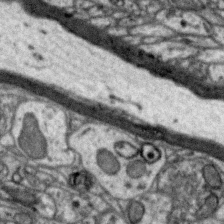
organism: Zebra finch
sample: Brain